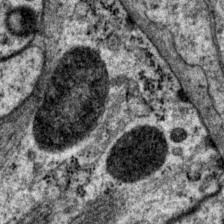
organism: P. pacificus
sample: Pharynx